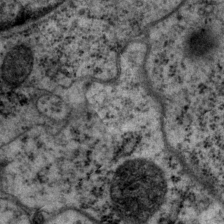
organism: P. pacificus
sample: Pharynx